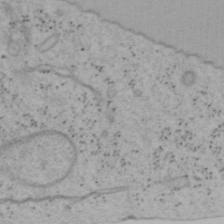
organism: Human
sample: HeLa cells